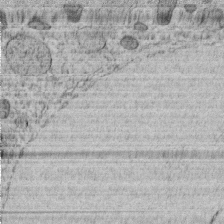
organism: C. elegans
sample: C. elegans embryo early stage